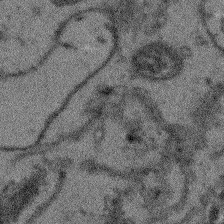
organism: Arabidopsis thaliana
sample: Root tip